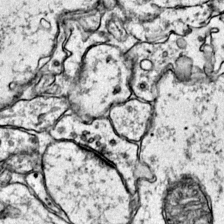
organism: Mouse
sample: Primary visual cortex